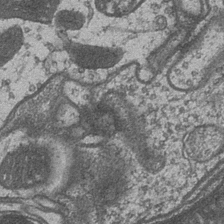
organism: Drosophila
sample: Optic medulla